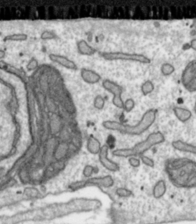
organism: Toxoplasma gondii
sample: Parasites in a vacuole inside a host cell